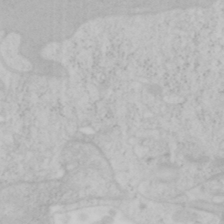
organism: Mouse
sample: OT-I killer T cells with ID8 ovarian cancer cells